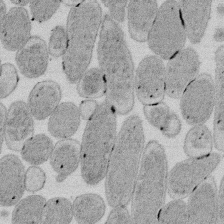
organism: E. coli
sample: Bacterial nucleoid